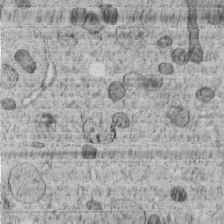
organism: C. elegans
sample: C. elegans embryo early stage